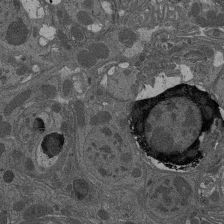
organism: Drosophila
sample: Antenna